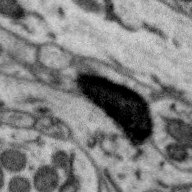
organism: Zebra finch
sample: Brain